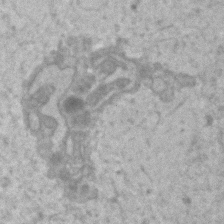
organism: Human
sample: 1205lu cells